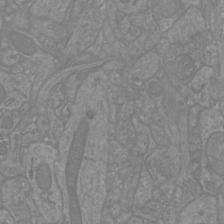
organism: Mouse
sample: Cortical neurons